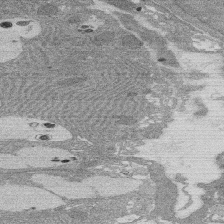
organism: Rat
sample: Salivary granule